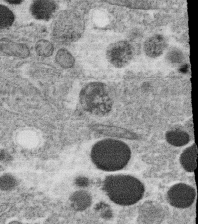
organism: C. elegans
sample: C. elegans oocyte; sperm cells